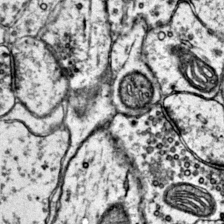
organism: Mouse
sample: Primary visual cortex